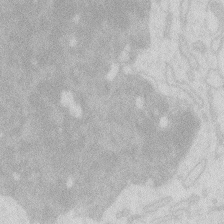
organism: Zebrafish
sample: Macrophage